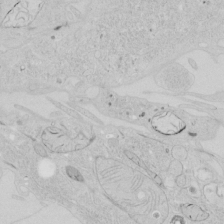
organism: Human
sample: Mitochondria in HCT116 cells